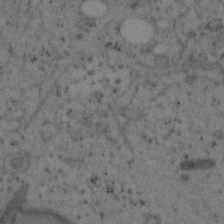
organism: Human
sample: HeLa cells